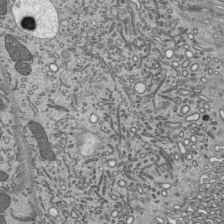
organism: Mouse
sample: Mouse epididymis efferent ductule cilia